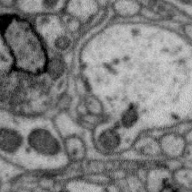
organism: Zebra finch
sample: Brain